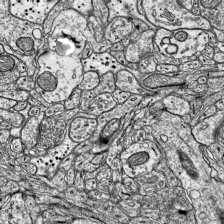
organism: Mouse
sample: Visual Cortex